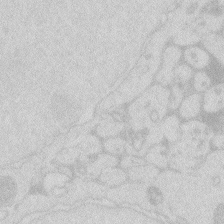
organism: Zebrafish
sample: Macrophage